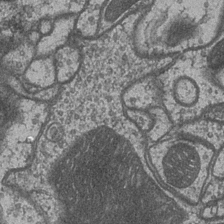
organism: Drosophila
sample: Optic medulla